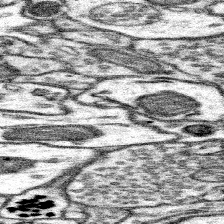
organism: Mouse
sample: Somatosensory cortex neuropil